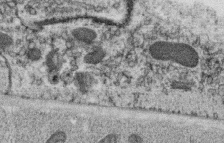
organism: C. elegans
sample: C. elegans oocyte; sperm cells